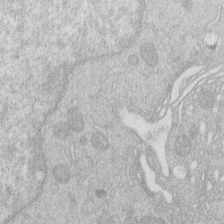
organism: Human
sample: Macrophage cells